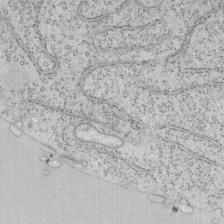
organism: Mouse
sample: OT-I killer T cells with ID8 ovarian cancer cells